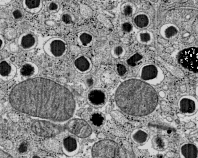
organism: C57BL Mouse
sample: Pancreatic islet